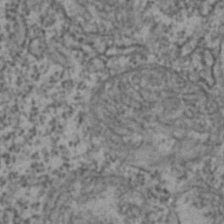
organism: Zebrafish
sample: Zebrafish embryo